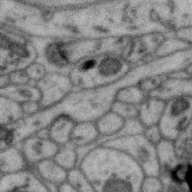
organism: Zebra finch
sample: Brain